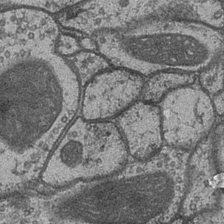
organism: Drosophila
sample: Optic medulla